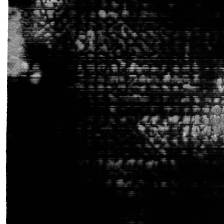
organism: Human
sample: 1205lu cells